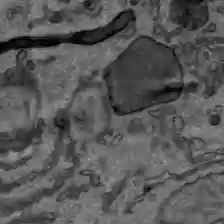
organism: C57BL Mouse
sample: Liver